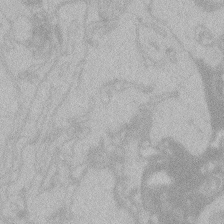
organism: Zebrafish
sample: Macrophage infected with Toxoplasma gondii